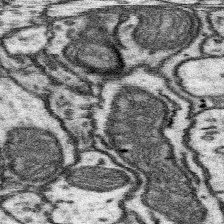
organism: Mouse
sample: Somatosensory cortex neuropil